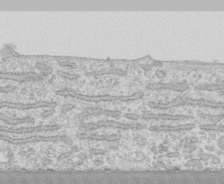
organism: Human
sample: CRL-1474